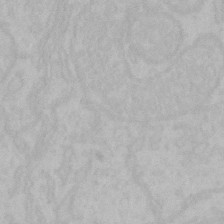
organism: Mouse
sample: Choroid plexus